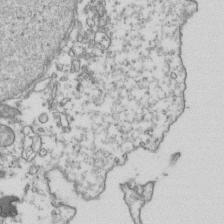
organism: Human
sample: Activated Jurkat CD4+ T cells